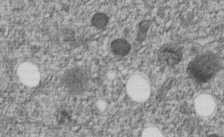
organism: C. elegans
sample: C. elegans embryo early stage